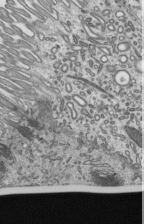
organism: Mouse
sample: Mouse epididymis efferent ductule cilia